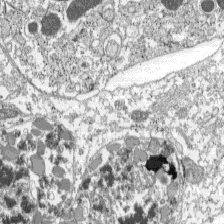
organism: C57BL Mouse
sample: Pancreatic islet